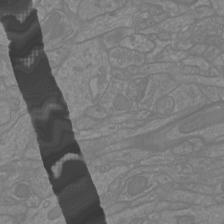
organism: Mouse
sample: Cortical neurons